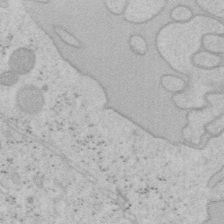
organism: Human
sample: HeLa cells